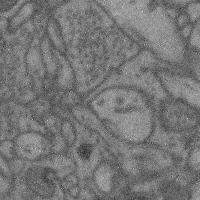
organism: Mouse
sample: Cerebral cortex